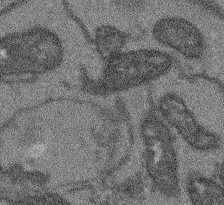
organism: Arabidopsis thaliana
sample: Root tip